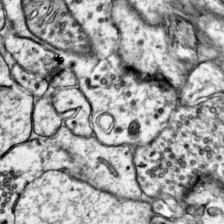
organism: Mouse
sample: Primary visual cortex